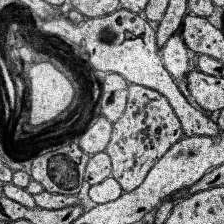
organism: Human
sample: Temporal Lobe